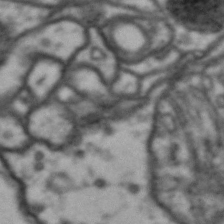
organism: Drosophila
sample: Brain